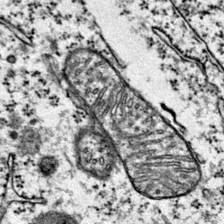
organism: Mouse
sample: Primary visual cortex